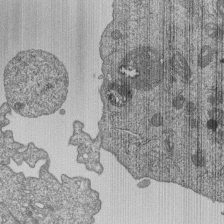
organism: Human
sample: MDA-MB-231 cells